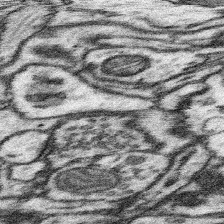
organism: Mouse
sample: Somatosensory cortex neuropil